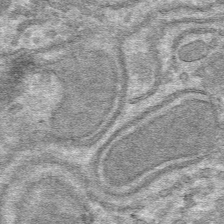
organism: Mouse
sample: Mouse hepatocytes